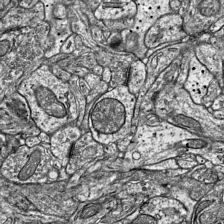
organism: Mouse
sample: Visual Cortex